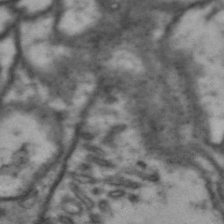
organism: Drosophila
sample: Brain